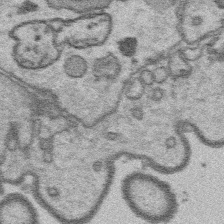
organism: Platynereis dumerilii